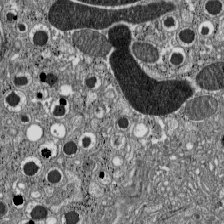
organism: C57BL Mouse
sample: Pancreatic islet